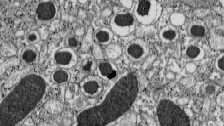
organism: C57BL Mouse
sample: Pancreatic islet